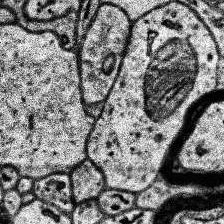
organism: Human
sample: Temporal Lobe